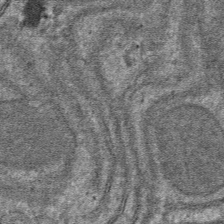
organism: Mouse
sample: Mouse hepatocytes